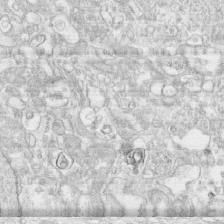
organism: Human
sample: CRL-1474